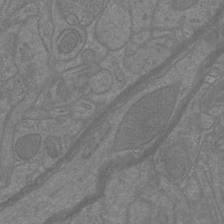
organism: Mouse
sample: Cortical neurons